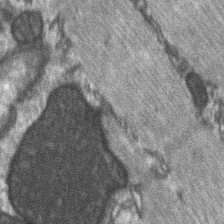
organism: C57BL Mouse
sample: Soleus